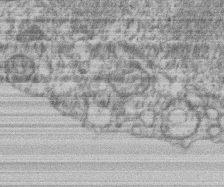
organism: Mouse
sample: T cell stromal cell synapse